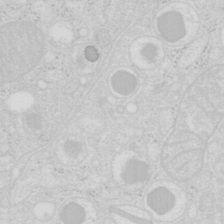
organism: Mouse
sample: Pancreas